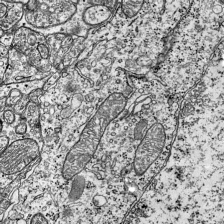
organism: Mouse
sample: Visual Cortex